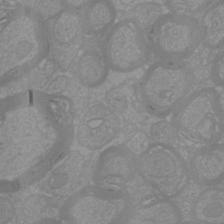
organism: Mouse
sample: Cortical neurons